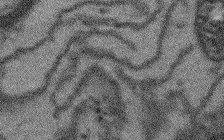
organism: Arabidopsis thaliana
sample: Root tip